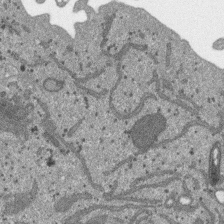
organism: Human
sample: Lung epithelial cells infected with SARS-CoV-2